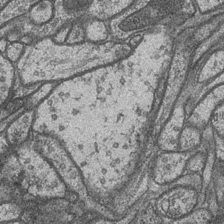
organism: Drosophila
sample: Optic medulla